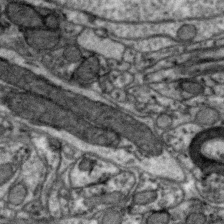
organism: Zebra finch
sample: Brain